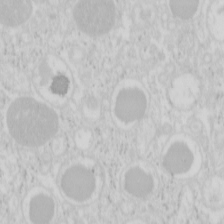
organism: Mouse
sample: Pancreas